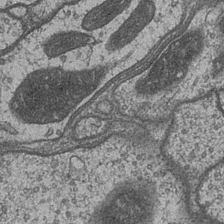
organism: Drosophila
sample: Optic medulla